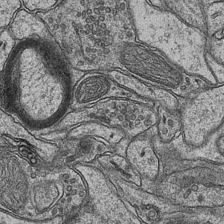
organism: Mouse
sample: CA1 Hippocampus